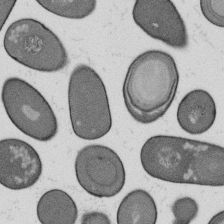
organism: B. subtilis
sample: Bacterial spore